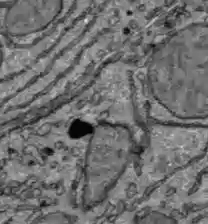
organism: C57BL Mouse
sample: Liver